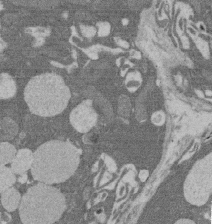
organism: Rat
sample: Salivary granule